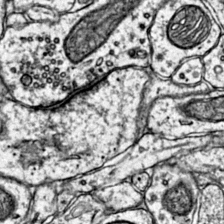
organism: Mouse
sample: Primary visual cortex